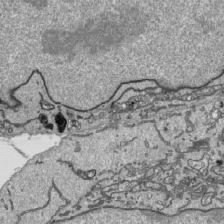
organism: Human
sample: Mitochondria in HCT116 cells